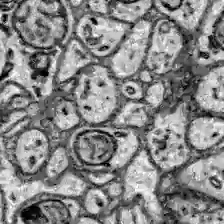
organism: Zebrafish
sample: Brain